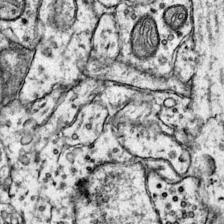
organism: Mouse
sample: Primary visual cortex